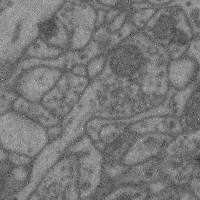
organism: Mouse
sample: Cerebral cortex